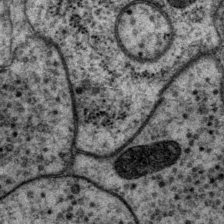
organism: P. pacificus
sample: Pharynx